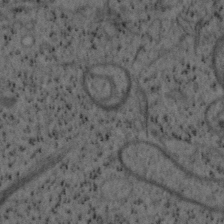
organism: Human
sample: HeLa cells